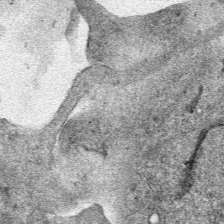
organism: Human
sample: Mitochondria in HCT116 cells